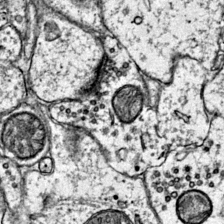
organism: Mouse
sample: Primary visual cortex